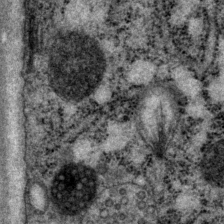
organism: P. pacificus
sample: Pharynx